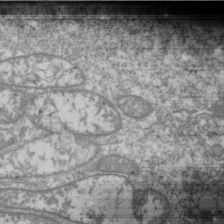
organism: Drosophila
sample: Cell division; meiosis; drosophila spermatocytes